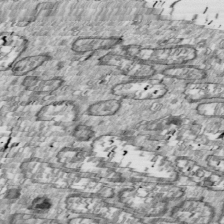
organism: Drosophila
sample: Cell division; meiosis; drosophila spermatocytes